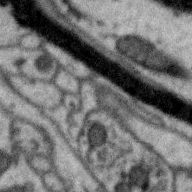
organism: Zebra finch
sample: Brain